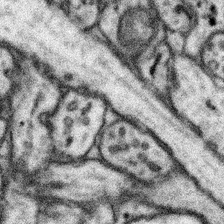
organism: Mouse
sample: Somatosensory cortex neuropil